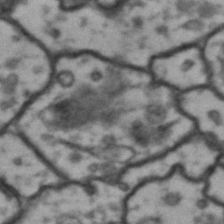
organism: Drosophila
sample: Brain